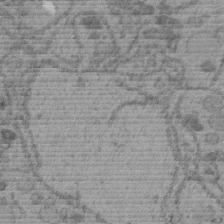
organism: C. elegans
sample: C. elegans embryo early stage